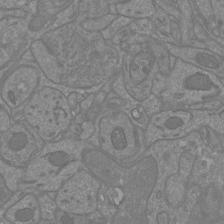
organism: Mouse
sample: Cortical neurons